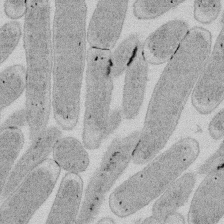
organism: E. coli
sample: Bacterial nucleoid